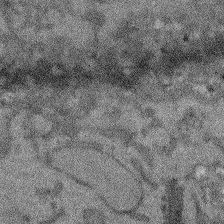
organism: Arabidopsis thaliana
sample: Root tip